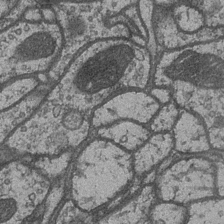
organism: Drosophila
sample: Optic medulla